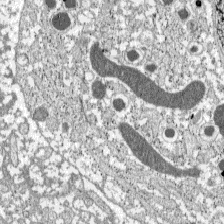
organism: C57BL Mouse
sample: Pancreatic islet